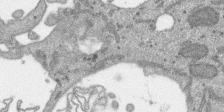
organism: Human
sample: Lung epithelial cells infected with SARS-CoV-2